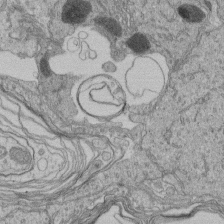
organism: Human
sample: Retinal organoid Rod and Cone cells